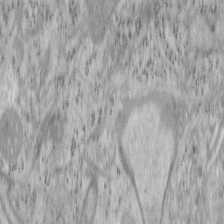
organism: Human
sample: HeLa cells